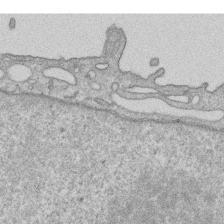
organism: Human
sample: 1205lu cells